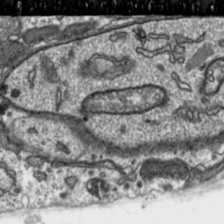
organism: Toxoplasma gondii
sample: Parasites in a vacuole inside a host cell